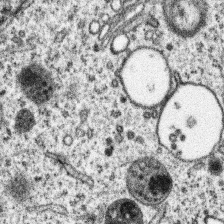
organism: Human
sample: HeLa cells